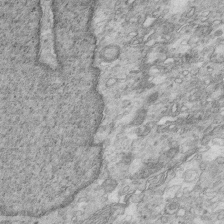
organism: Mouse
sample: Multiciliated cells